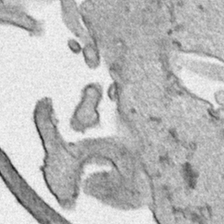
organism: Human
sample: Mitochondria in HCT116 cells